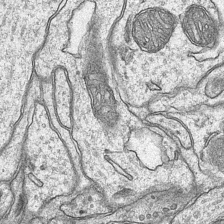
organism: Mouse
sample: CA1 Hippocampus